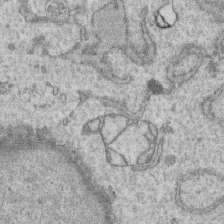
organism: Human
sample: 1205lu cells